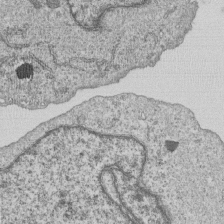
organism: Human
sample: MDA-MB-231 cells